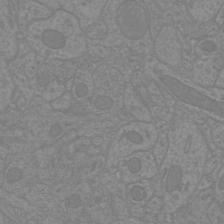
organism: Mouse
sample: Cortical neurons